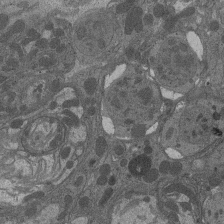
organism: Drosophila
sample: Antenna